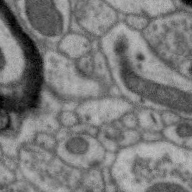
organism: Zebra finch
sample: Brain